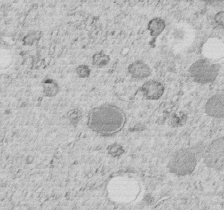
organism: C. elegans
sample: C. elegans embryo early stage